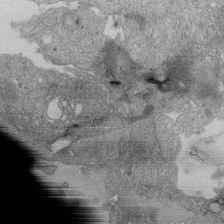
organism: Human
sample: Retinal organoid Rod and Cone cells